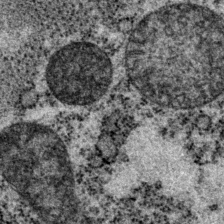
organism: P. pacificus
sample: Pharynx